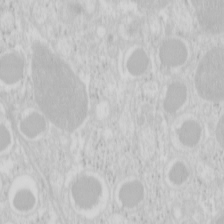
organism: Mouse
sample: Pancreas